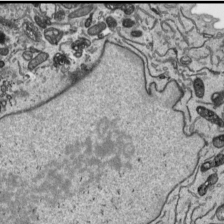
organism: Human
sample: Mitochondria in HCT116 cells